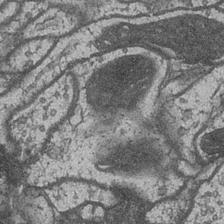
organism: Drosophila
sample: Optic medulla